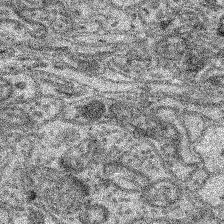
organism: Mouse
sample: Retina